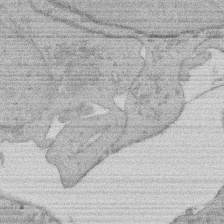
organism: Rat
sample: Salivary granule